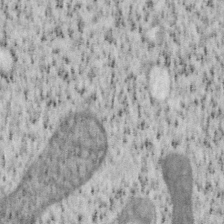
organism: Mouse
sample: OT-I killer T cells with ID8 ovarian cancer cells